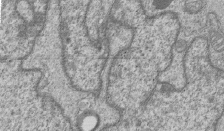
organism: Human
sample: MDA-MB-231 cells